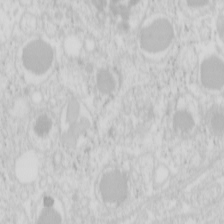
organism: Mouse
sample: Pancreas